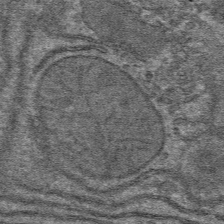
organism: Mouse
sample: Mouse hepatocytes